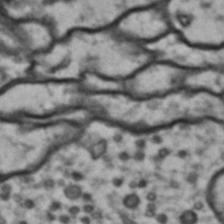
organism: Drosophila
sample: Brain